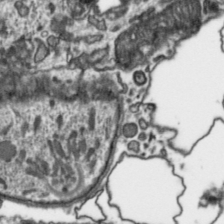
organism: Toxoplasma gondii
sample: Parasites in a vacuole inside a host cell